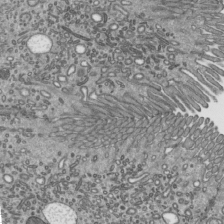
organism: Mouse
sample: Mouse epididymis efferent ductule cilia